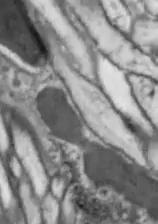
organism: Drosophila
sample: Optic lobe